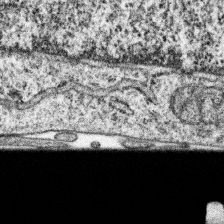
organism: Human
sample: HeLa cells